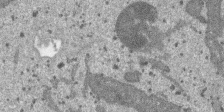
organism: Human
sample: Lung epithelial cells infected with SARS-CoV-2